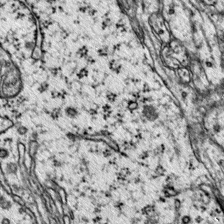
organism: Mouse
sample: Primary visual cortex